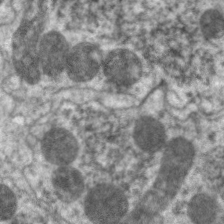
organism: C. elegans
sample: Pharynx